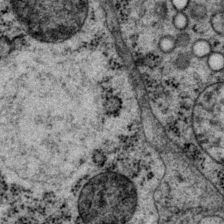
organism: P. pacificus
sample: Pharynx